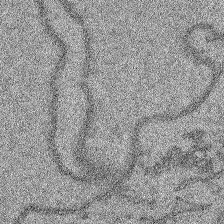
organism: Human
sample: HeLa cells